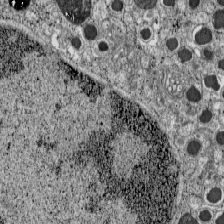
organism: C57BL Mouse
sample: Pancreatic islet